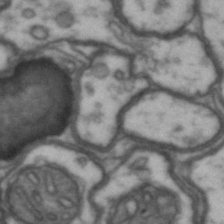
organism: Drosophila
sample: Brain